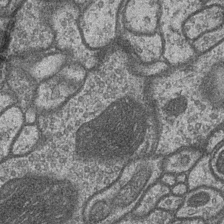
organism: Drosophila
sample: Optic medulla